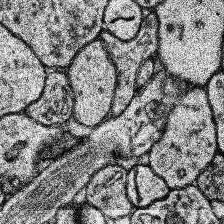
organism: Human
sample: Temporal Lobe